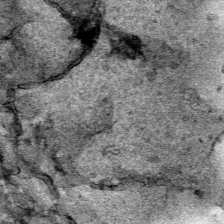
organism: Human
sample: Mitochondria in HCT116 cells